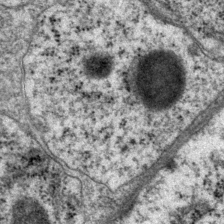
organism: P. pacificus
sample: Pharynx